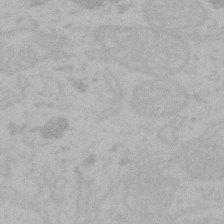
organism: Mouse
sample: Choroid plexus